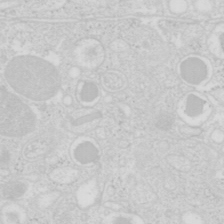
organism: Mouse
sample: Pancreas